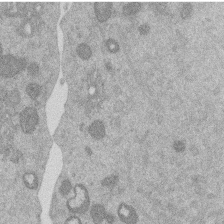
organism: Mouse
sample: Dividing mouse embryo 1 cell stage